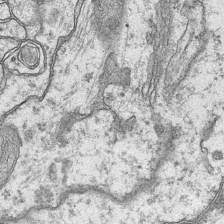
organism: Mouse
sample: CA1 Hippocampus